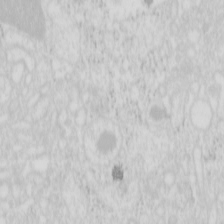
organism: Mouse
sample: Pancreas